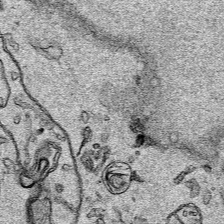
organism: Human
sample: Mitochondria in HCT116 cells